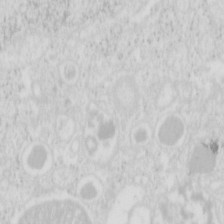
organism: Mouse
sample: Pancreas